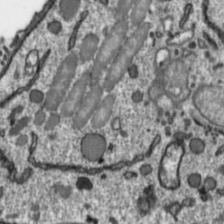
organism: Toxoplasma gondii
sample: Parasites in a vacuole inside a host cell